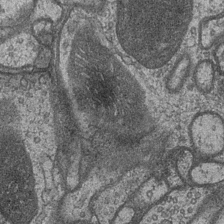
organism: Drosophila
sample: Optic medulla